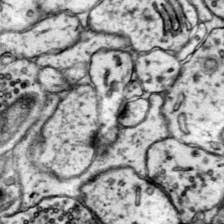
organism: Mouse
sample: Primary visual cortex